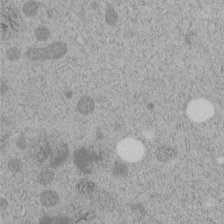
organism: C. elegans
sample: C. elegans embryo early stage